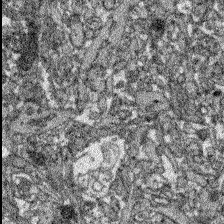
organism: Zebrafish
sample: Larval olfactory bulb